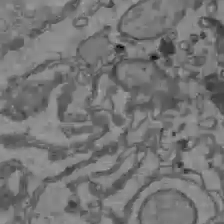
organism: C57BL Mouse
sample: Liver